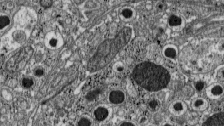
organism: C57BL Mouse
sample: Pancreatic islet